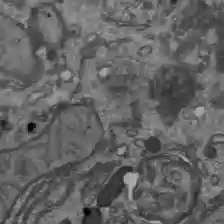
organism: C57BL Mouse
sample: Liver